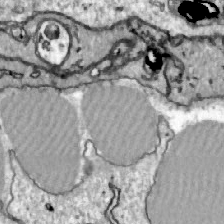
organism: Zebrafish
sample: Actinotrichia fibers